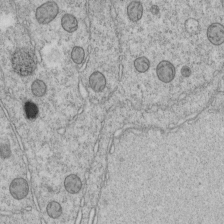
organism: C. elegans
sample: C. elegans embryo early stage